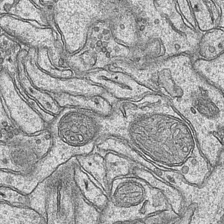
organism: Mouse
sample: CA1 Hippocampus